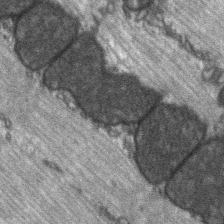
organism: C57BL Mouse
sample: Soleus